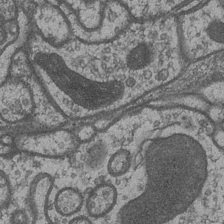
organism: Drosophila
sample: Optic medulla